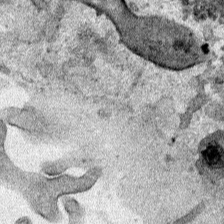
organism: Human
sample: Mitochondria in HCT116 cells